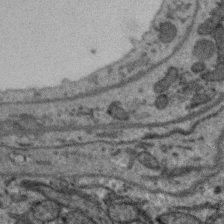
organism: Zebra finch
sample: Brain